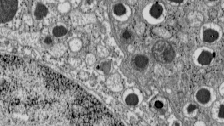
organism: C57BL Mouse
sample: Pancreatic islet